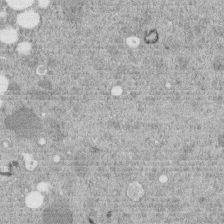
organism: C. elegans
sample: C. elegans embryo early stage